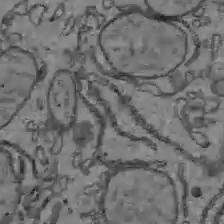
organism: C57BL Mouse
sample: Liver